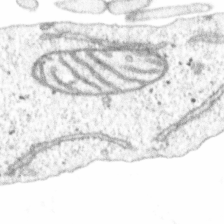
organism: Human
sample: HeLa cells